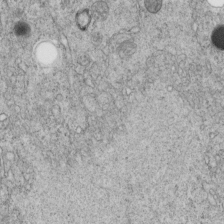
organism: C. elegans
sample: C. elegans embryo early stage